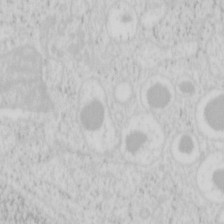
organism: Mouse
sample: Pancreas